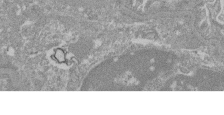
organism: Mouse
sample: Glomerulus